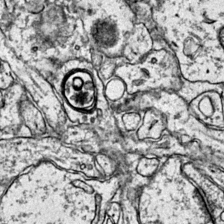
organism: Mouse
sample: Primary visual cortex